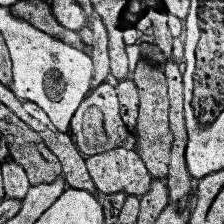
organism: Human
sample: Temporal Lobe